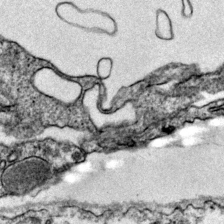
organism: Mouse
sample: Primary visual cortex